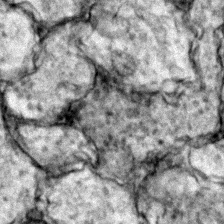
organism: Zebrafish